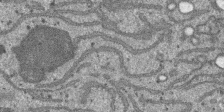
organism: Human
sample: Lung epithelial cells infected with SARS-CoV-2